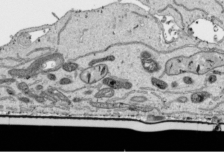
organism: Human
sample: Mitochondria in HCT116 cells